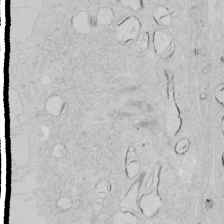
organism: Human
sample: Mitochondria in HCT116 cells